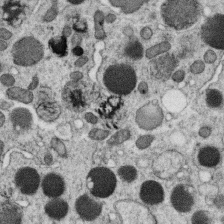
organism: C. elegans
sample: C. elegans oocyte; sperm cells